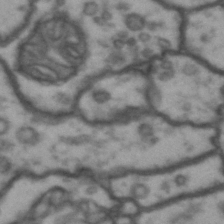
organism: Drosophila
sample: Brain